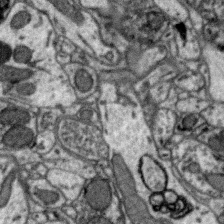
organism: Zebra finch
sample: Brain